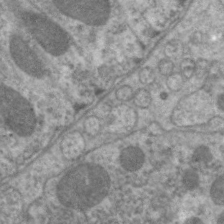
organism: C. elegans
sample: Pharynx